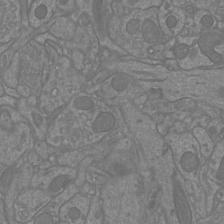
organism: Mouse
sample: Cortical neurons